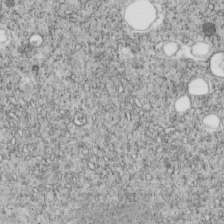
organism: C. elegans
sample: C. elegans embryo early stage